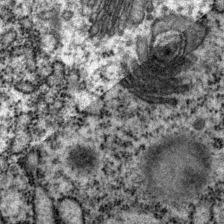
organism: P. pacificus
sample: Pharynx